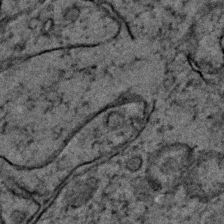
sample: Trachea